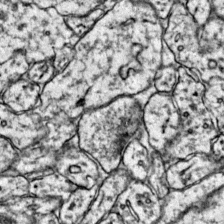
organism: Mouse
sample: Primary visual cortex